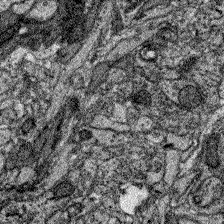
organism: Zebrafish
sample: Larval olfactory bulb